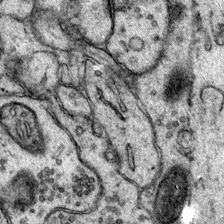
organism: Mouse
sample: Primary visual cortex